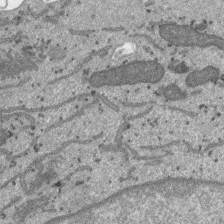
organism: Human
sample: Lung epithelial cells infected with SARS-CoV-2